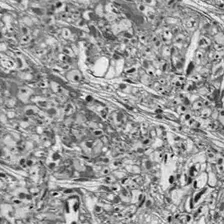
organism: Drosophila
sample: Optic lobe